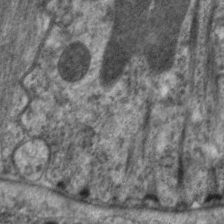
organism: C. elegans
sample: Pharynx